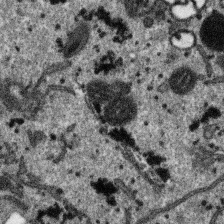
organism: Human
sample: Lung epithelial cells infected with SARS-CoV-2